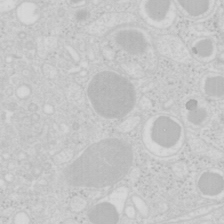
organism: Mouse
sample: Pancreas